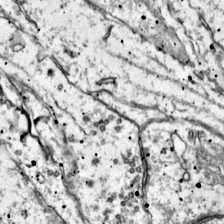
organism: Mouse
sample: Primary visual cortex